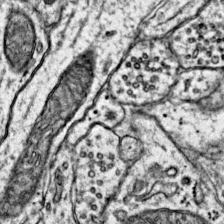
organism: Mouse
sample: Primary visual cortex